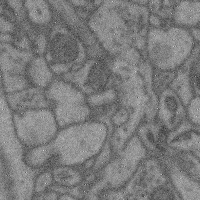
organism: Mouse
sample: Cerebral cortex